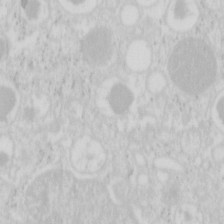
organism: Mouse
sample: Pancreas